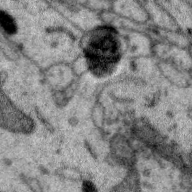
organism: Zebra finch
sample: Brain